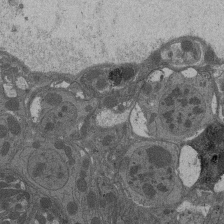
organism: Drosophila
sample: Antenna